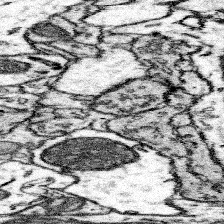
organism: Mouse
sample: Somatosensory cortex neuropil